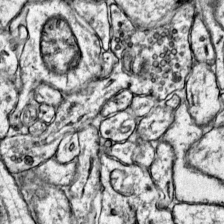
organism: Mouse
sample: Primary visual cortex